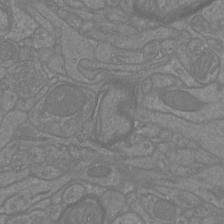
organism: Mouse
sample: Cortical neurons